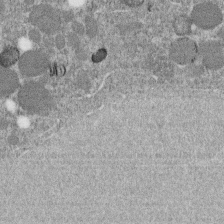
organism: C. elegans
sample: C. elegans embryo early stage